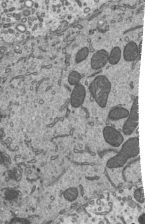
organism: Mouse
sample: Mouse epididymis efferent ductule cilia